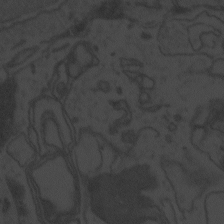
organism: Zebrafish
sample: Macrophage infected with Toxoplasma gondii